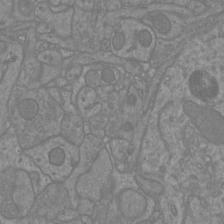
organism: Mouse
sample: Cortical neurons